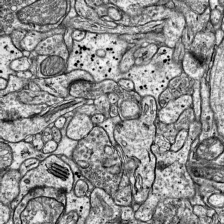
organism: Mouse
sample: Visual Cortex